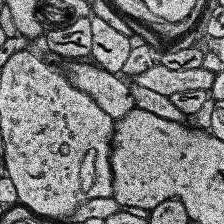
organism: Human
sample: Temporal Lobe